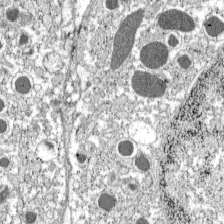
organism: C57BL Mouse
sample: Pancreatic islet